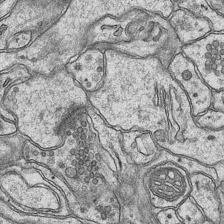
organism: Mouse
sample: CA1 Hippocampus